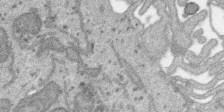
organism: Human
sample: Lung epithelial cells infected with SARS-CoV-2